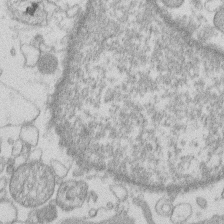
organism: Human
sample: Macrophage cells